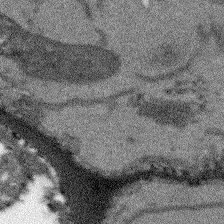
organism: Arabidopsis thaliana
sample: Root tip